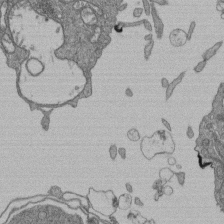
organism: Human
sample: Retinal organoid Rod and Cone cells